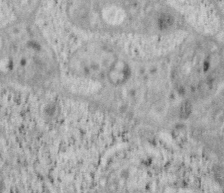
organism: Mouse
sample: OT-I killer T cells with ID8 ovarian cancer cells